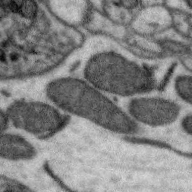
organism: Zebra finch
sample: Brain